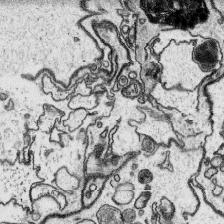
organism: Platynereis dumerilii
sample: Parapodia